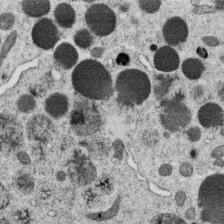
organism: C. elegans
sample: C. elegans oocyte; sperm cells